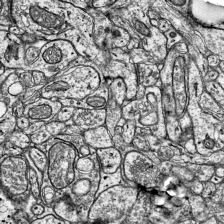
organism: Mouse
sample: Visual Cortex